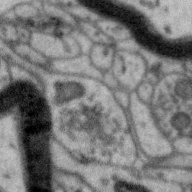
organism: Zebra finch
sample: Brain